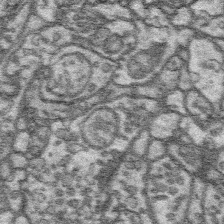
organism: Platynereis dumerilii